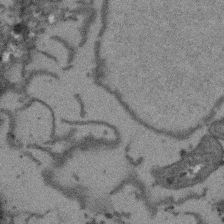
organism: Arabidopsis thaliana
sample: Root tip